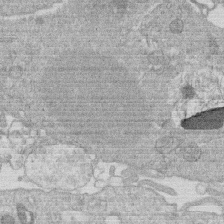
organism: Human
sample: Macrophage cells